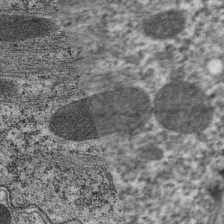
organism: C. elegans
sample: Pharynx